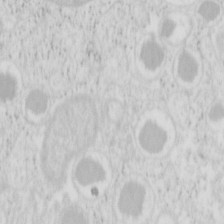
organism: Mouse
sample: Pancreas